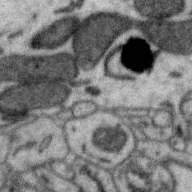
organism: Zebra finch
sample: Brain